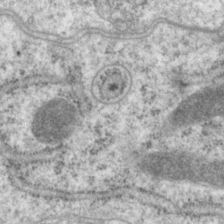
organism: P. pacificus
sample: Pharynx